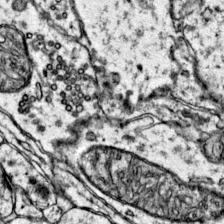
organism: Mouse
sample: Primary visual cortex